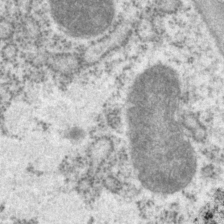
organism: P. pacificus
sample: Pharynx